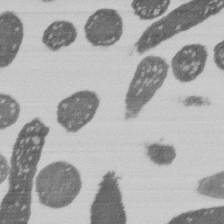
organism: E. coli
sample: Bacterial nucleoid